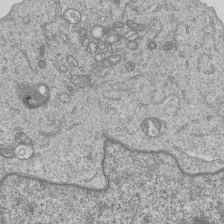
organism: Human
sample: MDA-MB-231 cells